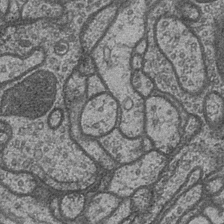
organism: Drosophila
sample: Optic medulla